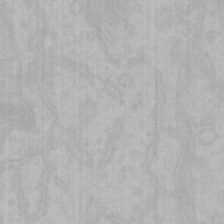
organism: Mouse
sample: Choroid plexus